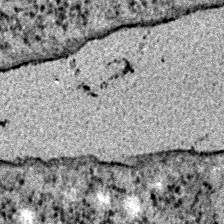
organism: E. coli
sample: E. Coli Bacteria